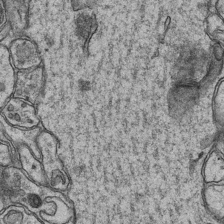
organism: Mouse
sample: CA1 Hippocampus